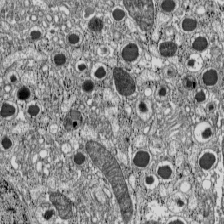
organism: C57BL Mouse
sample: Pancreatic islet